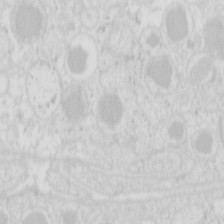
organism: Mouse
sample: Pancreas